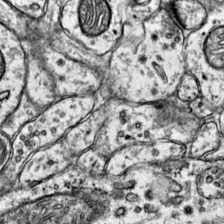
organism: Mouse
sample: Primary visual cortex